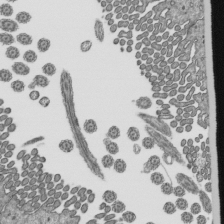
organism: Mouse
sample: Mouse epididymis efferent ductule cilia